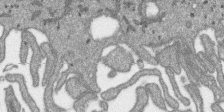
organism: Human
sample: Lung epithelial cells infected with SARS-CoV-2